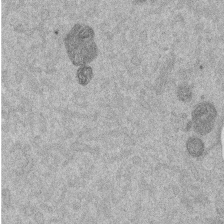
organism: Mouse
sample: Dividing mouse embryo 1 cell stage